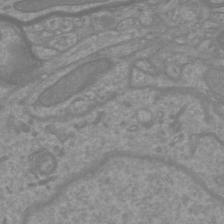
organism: Mouse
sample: Cortical neurons